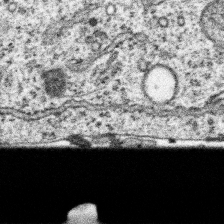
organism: Human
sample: HeLa cells